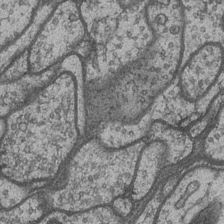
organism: Drosophila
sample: Optic medulla